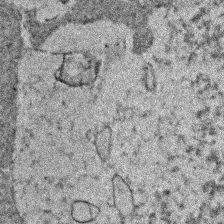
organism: Human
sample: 1205lu cells